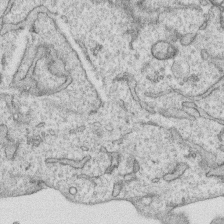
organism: Human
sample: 1205lu cells